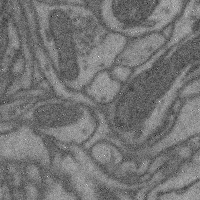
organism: Mouse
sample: Cerebral cortex